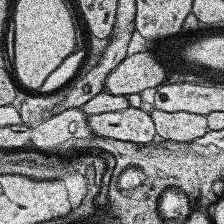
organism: Human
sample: Temporal Lobe